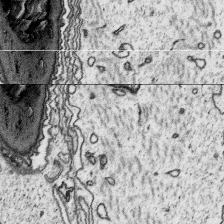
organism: Platynereis dumerilii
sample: Parapodia